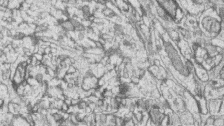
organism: Zebrafish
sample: synaptic ribbons in rod cells and cone cells